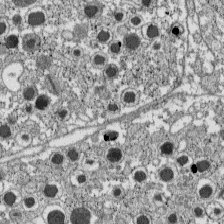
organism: C57BL Mouse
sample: Pancreatic islet